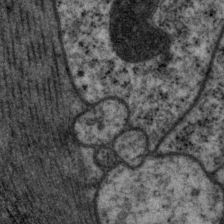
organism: P. pacificus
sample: Pharynx